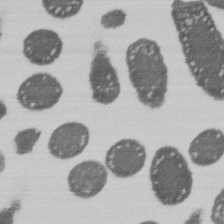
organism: E. coli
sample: Bacterial nucleoid